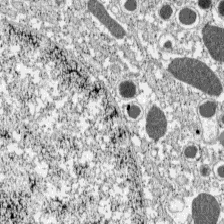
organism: C57BL Mouse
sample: Pancreatic islet